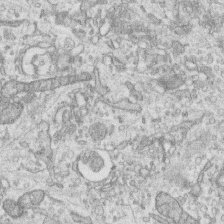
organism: Human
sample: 1205lu cells